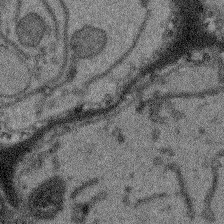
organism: Arabidopsis thaliana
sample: Root tip